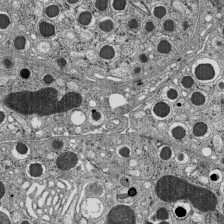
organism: C57BL Mouse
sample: Pancreatic islet